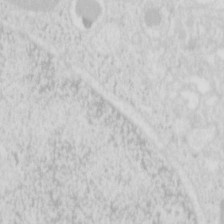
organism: Mouse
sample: Pancreas